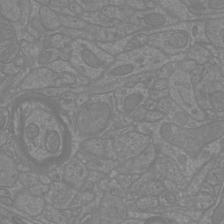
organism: Mouse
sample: Cortical neurons